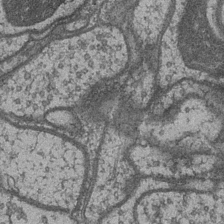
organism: Drosophila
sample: Optic medulla